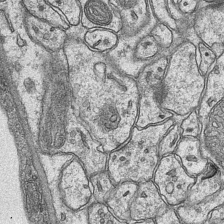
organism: Mouse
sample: CA1 Hippocampus